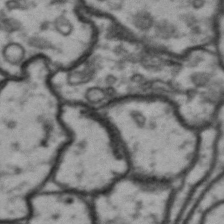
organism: Drosophila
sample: Brain